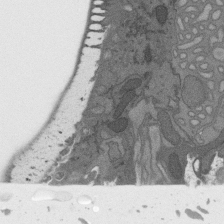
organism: C. elegans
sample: AFD neurons C. elegans